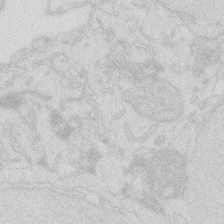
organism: Zebrafish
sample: Macrophage